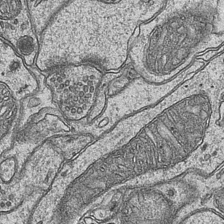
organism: Mouse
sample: CA1 Hippocampus